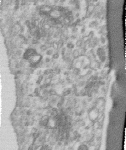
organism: Human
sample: Centriole in RPE cells